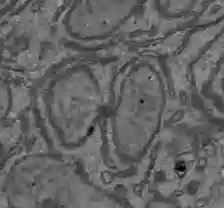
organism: C57BL Mouse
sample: Liver